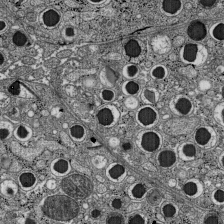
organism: C57BL Mouse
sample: Pancreatic islet